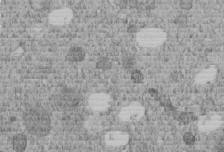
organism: C. elegans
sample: C. elegans embryo early stage